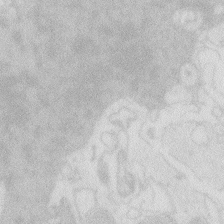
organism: Zebrafish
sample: Macrophage